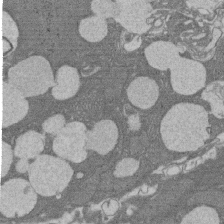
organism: Rat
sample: Salivary granule